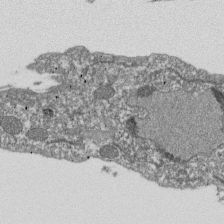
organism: Dictyostelium discoideum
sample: Dictyostelium multivesicular bodies